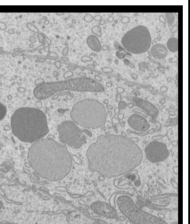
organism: Mouse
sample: Cilia; mouse epididymis